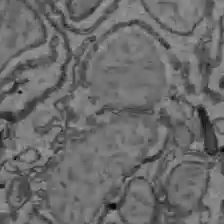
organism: C57BL Mouse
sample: Liver